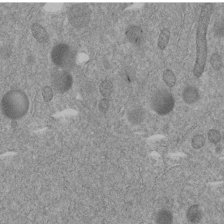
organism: C. elegans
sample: C. elegans embryo early stage